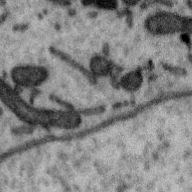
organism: Zebra finch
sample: Brain